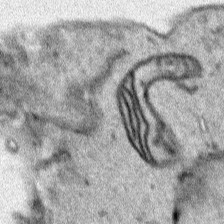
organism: Human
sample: Mitochondria in HCT116 cells